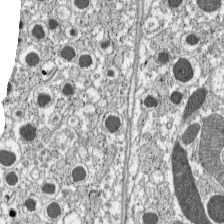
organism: C57BL Mouse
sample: Pancreatic islet